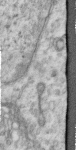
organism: Human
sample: Centriole in RPE cells